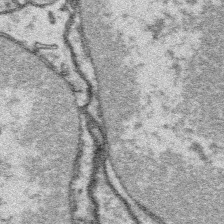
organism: Platynereis dumerilii